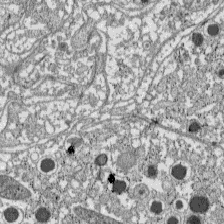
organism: C57BL Mouse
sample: Pancreatic islet